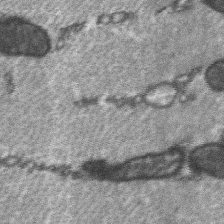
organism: C57BL Mouse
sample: Soleus